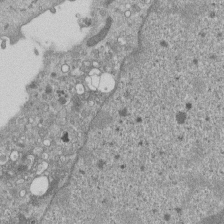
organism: Mouse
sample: ED-1 cell nuclei; centrioles